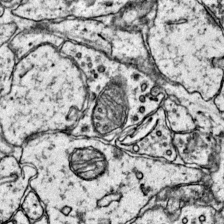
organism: Mouse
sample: Primary visual cortex